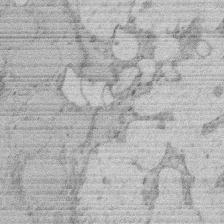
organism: Rat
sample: Salivary granule